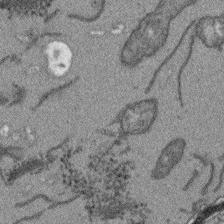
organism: Arabidopsis thaliana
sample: Root tip